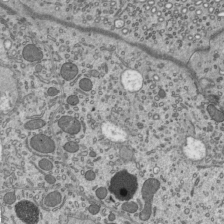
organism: Mouse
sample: Mouse epididymis efferent ductule cilia